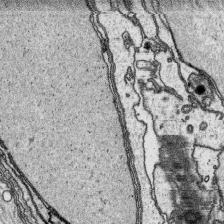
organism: Platynereis dumerilii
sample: Parapodia